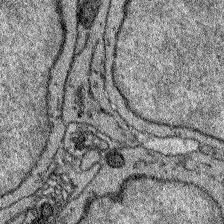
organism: Zebrafish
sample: Larval olfactory bulb